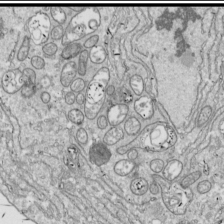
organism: Drosophila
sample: Cell division; meiosis; drosophila spermatocytes